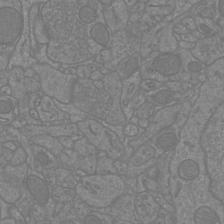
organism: Mouse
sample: Cortical neurons